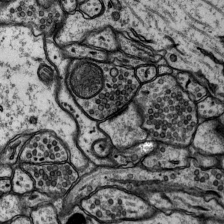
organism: Rat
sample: Hippocampus